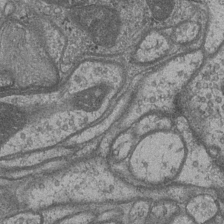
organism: Drosophila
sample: Optic medulla